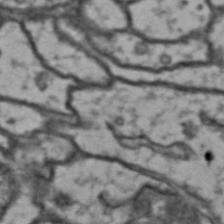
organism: Drosophila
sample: Brain